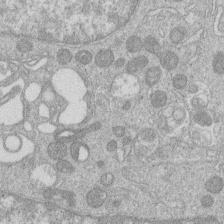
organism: Human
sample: Macrophage cells